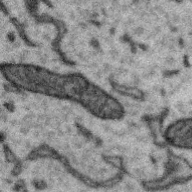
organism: Zebra finch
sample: Brain